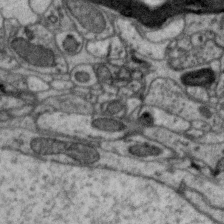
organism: Zebra finch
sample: Brain